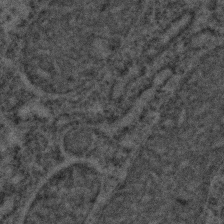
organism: C. elegans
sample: C. elegans embryo